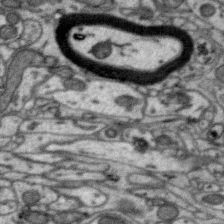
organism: Zebra finch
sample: Brain